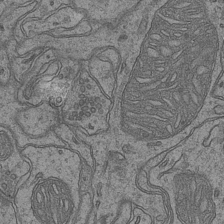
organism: Mouse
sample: CA1 Hippocampus